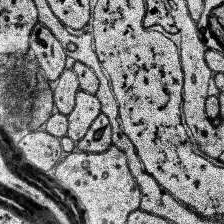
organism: Human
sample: Temporal Lobe